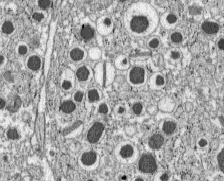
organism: C57BL Mouse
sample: Pancreatic islet